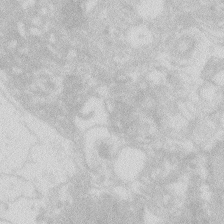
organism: Zebrafish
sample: Macrophage